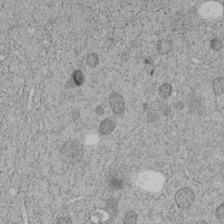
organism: C. elegans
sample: C. elegans embryo early stage